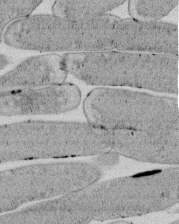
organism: E. coli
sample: Bacterial nucleoid